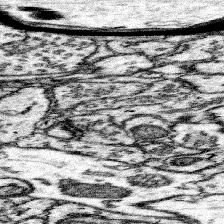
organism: Mouse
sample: Somatosensory cortex neuropil